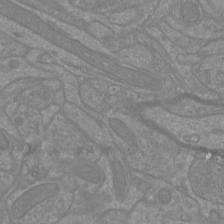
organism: Mouse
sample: Cortical neurons